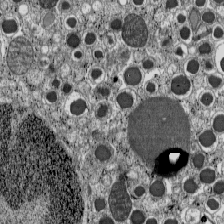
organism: C57BL Mouse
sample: Pancreatic islet